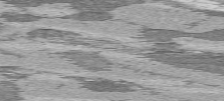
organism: C57BL Mouse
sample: Heart